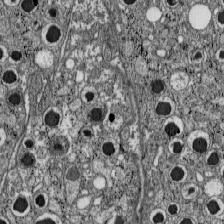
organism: C57BL Mouse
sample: Pancreatic islet